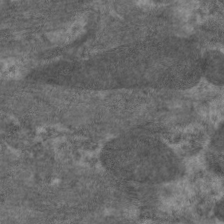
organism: C. elegans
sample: Pharynx